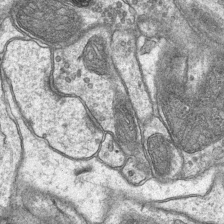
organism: Mouse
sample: CA1 Hippocampus